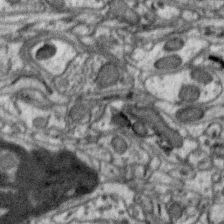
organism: Zebra finch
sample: Brain